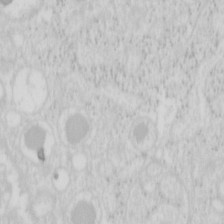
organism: Mouse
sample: Pancreas